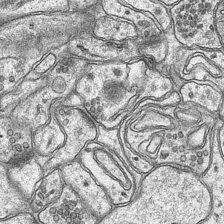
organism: Mouse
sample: CA1 Hippocampus